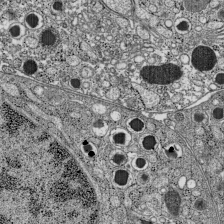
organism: C57BL Mouse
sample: Pancreatic islet